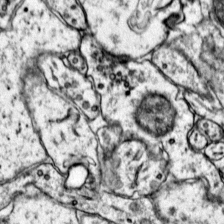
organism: Mouse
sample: Primary visual cortex